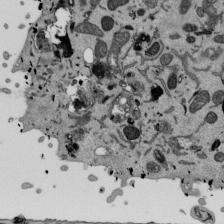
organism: Mouse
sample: ED-1 cell nuclei; centrioles